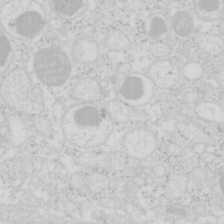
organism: Mouse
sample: Pancreas